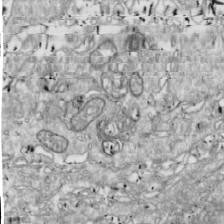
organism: Drosophila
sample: Cell division; meiosis; drosophila spermatocytes